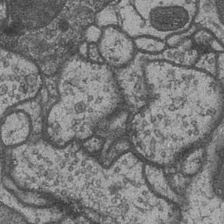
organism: Drosophila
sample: Optic medulla